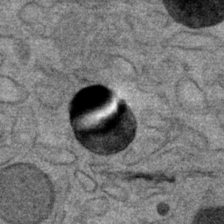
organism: Mouse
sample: Mouse Salivary gland